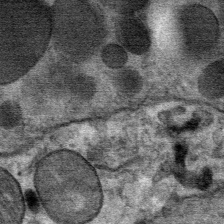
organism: Mouse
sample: Mouse Salivary gland